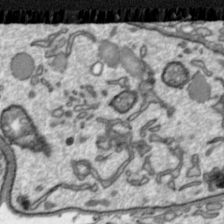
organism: Toxoplasma gondii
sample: Parasites in a vacuole inside a host cell